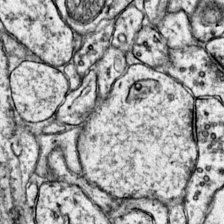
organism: Mouse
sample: Primary visual cortex